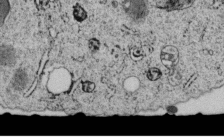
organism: C. elegans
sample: C. elegans embryo early stage